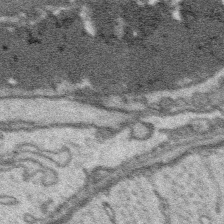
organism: Platynereis dumerilii